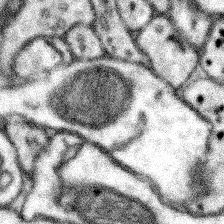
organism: Mouse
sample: Somatosensory cortex neuropil